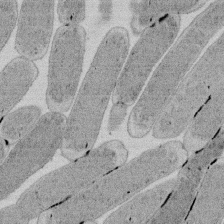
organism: E. coli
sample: Bacterial nucleoid